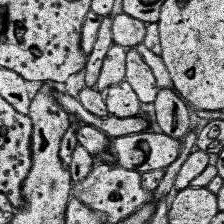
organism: Human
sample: Temporal Lobe